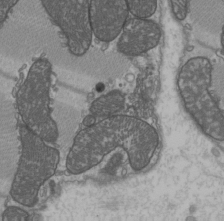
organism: C57BL Mouse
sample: Heart